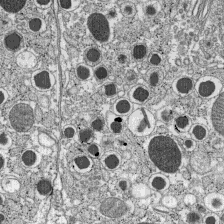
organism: C57BL Mouse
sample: Pancreatic islet